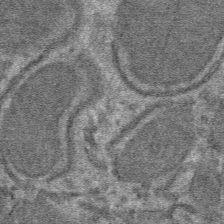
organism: Mouse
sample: Mouse hepatocytes